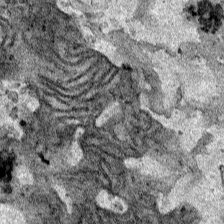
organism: Human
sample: Mitochondria in HCT116 cells